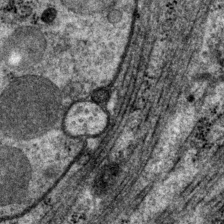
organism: P. pacificus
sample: Pharynx